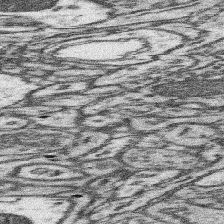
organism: Mouse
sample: Somatosensory cortex neuropil